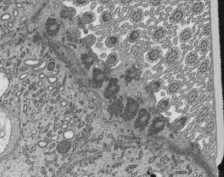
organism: Mouse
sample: Mouse epididymis efferent ductule cilia